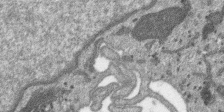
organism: Human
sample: Lung epithelial cells infected with SARS-CoV-2